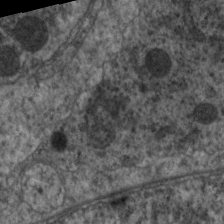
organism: C. elegans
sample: Pharynx